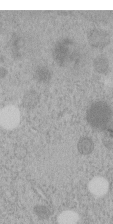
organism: C. elegans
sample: C. elegans embryo early stage